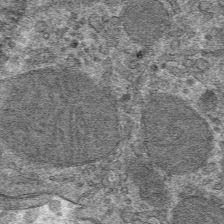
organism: Mouse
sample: Mouse hepatocytes